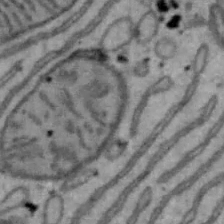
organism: Mouse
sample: Liver